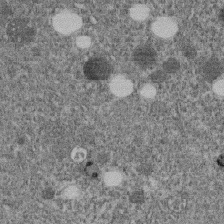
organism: C. elegans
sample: C. elegans embryo early stage